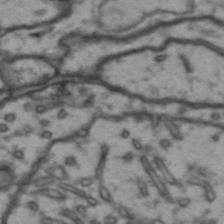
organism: Drosophila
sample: Brain